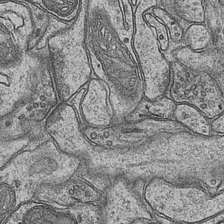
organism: Mouse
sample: CA1 Hippocampus